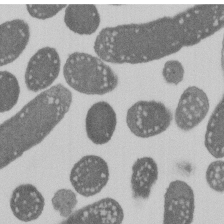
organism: E. coli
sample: Bacterial nucleoid